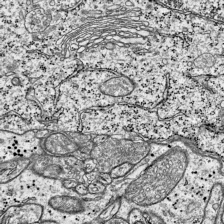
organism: Mouse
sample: Visual Cortex